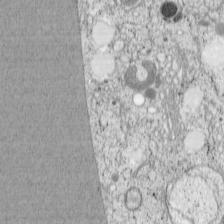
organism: African green monkey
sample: COS-7 cells